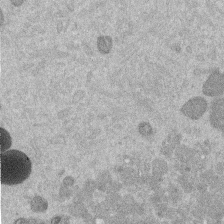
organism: Mouse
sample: Dividing mouse embryo 1 cell stage